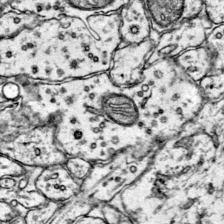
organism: Mouse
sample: Primary visual cortex